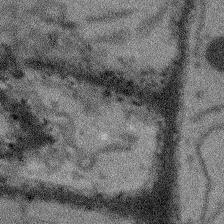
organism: Arabidopsis thaliana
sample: Root tip